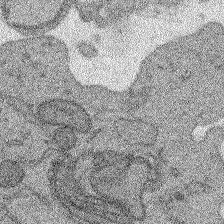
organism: Human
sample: HeLa cells